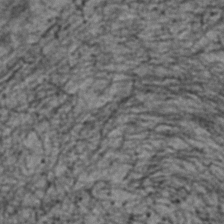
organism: C. elegans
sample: C. elegans embryo